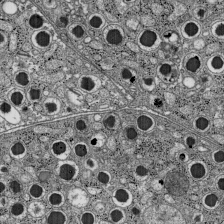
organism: C57BL Mouse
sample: Pancreatic islet